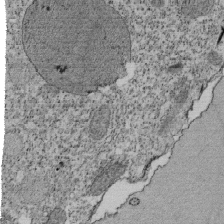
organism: Tetrahymena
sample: Cilia in tetrahymena